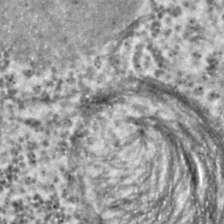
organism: C. elegans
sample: C. elegans embryo